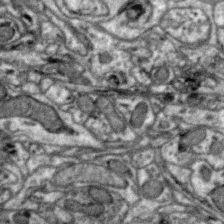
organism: Zebra finch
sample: Brain